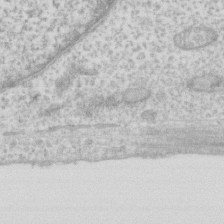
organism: Human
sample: Fibroblast cells